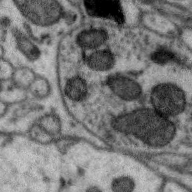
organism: Zebra finch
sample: Brain